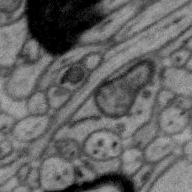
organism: Zebra finch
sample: Brain